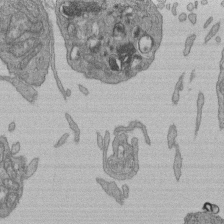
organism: Human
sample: Retinal organoid Rod and Cone cells